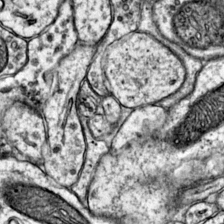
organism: Mouse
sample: Primary visual cortex